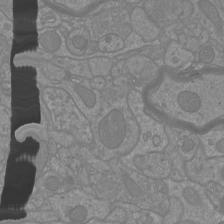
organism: Mouse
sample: Cortical neurons